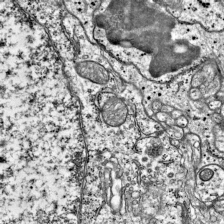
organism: Mouse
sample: Visual Cortex